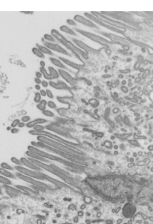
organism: Mouse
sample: Mouse epididymis efferent ductule cilia